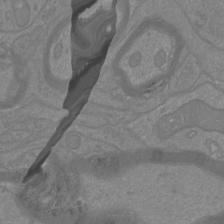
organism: Mouse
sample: Cortical neurons